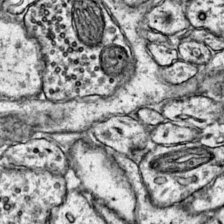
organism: Mouse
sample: Primary visual cortex